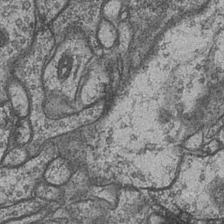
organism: Drosophila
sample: Optic medulla